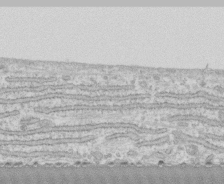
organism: Human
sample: CRL-1474